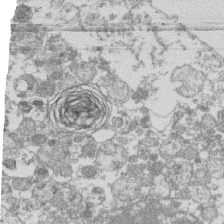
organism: Human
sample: HeLa cell HIV synapse